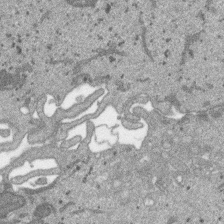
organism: Human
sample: Lung epithelial cells infected with SARS-CoV-2